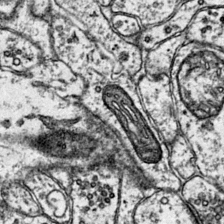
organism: Mouse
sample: Primary visual cortex